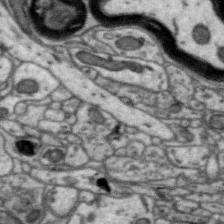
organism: Zebra finch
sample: Brain